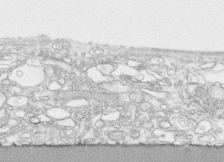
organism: Human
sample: CRL-1474